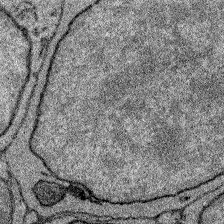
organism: Zebrafish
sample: Larval olfactory bulb